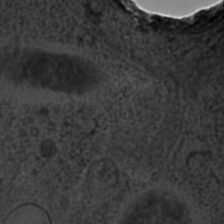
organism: C. elegans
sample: C. elegans embryo